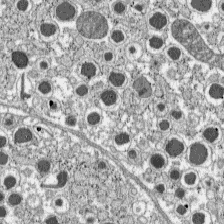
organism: C57BL Mouse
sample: Pancreatic islet